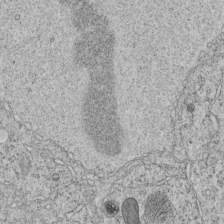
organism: C. elegans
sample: C. elegans embryo early stage